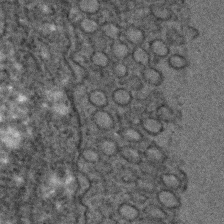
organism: C. elegans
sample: C. elegans embryo